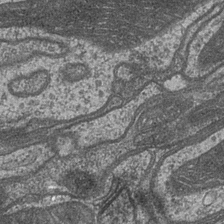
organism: Drosophila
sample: Optic medulla